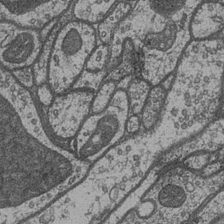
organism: Drosophila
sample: Optic medulla